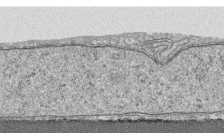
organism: Human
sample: CRL-1474